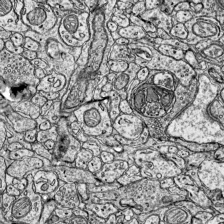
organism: Mouse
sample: Visual Cortex